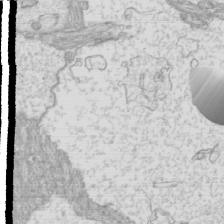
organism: Mouse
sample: Cilia; mouse epididymis